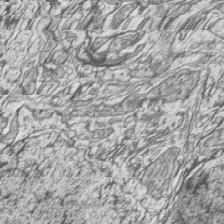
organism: Zebrafish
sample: synaptic ribbons in rod cells and cone cells